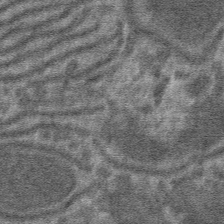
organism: Mouse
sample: Mouse hepatocytes